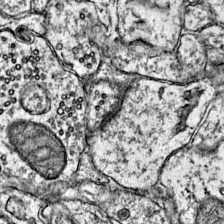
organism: Mouse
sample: Primary visual cortex